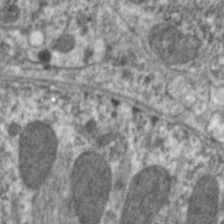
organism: C. elegans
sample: Pharynx